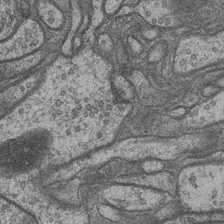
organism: Drosophila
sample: Optic medulla